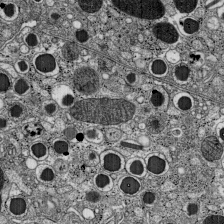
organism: C57BL Mouse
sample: Pancreatic islet